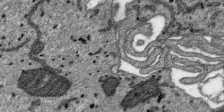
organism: Human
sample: Lung epithelial cells, uninfected (mock) control